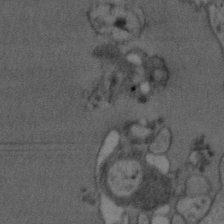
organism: Human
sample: HeLa cells